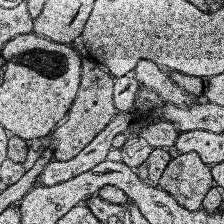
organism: Human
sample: Temporal Lobe